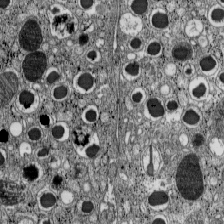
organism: C57BL Mouse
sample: Pancreatic islet